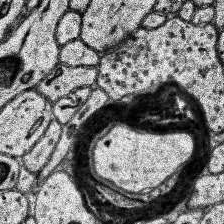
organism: Human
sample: Temporal Lobe